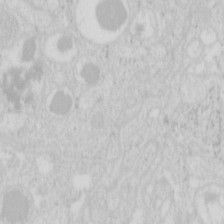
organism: Mouse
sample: Pancreas